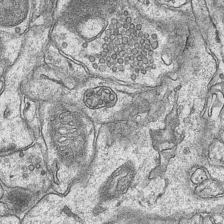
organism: Mouse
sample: CA1 Hippocampus